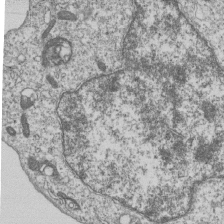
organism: Human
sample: MDA-MB-231 cells